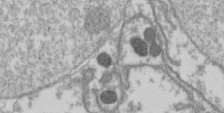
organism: Drosophila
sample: Cell division; meiosis; drosophila spermatocytes